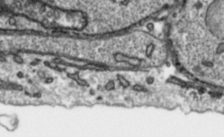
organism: Toxoplasma gondii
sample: Parasites in a vacuole inside a host cell